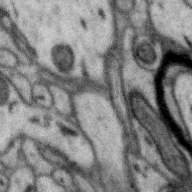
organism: Zebra finch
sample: Brain